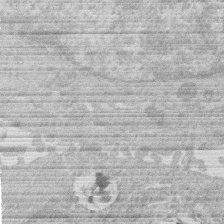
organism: Human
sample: Macrophage cells